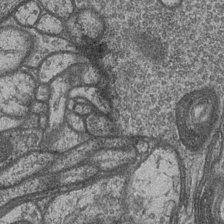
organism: Drosophila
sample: Optic medulla